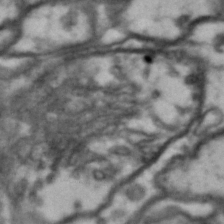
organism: Drosophila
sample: Brain